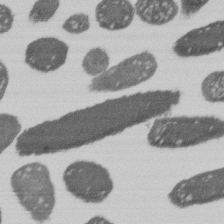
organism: E. coli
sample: Bacterial nucleoid